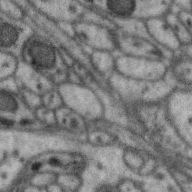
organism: Zebra finch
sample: Brain